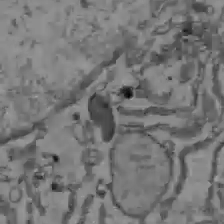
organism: C57BL Mouse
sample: Liver